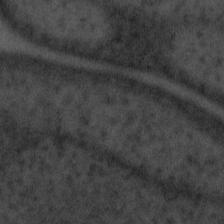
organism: Tuwongella immobilis